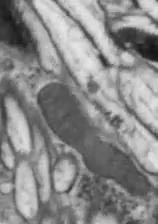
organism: Drosophila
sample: Optic lobe